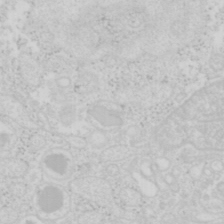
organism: Mouse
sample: Pancreas